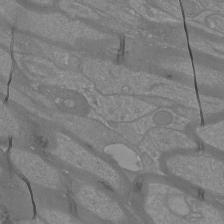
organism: Mouse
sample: Cortical neurons